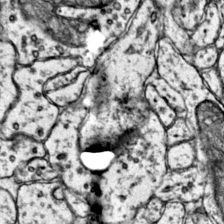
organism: Mouse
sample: Primary visual cortex